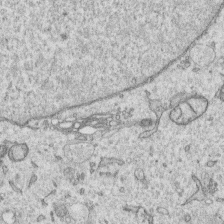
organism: Human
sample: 1205lu cells